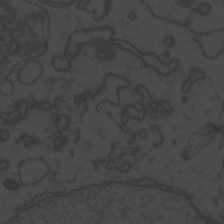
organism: Zebrafish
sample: Macrophage infected with Toxoplasma gondii